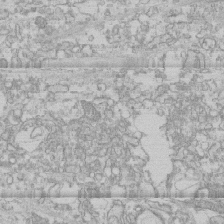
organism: Human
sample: CRL-1474